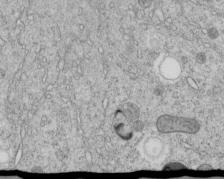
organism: C. elegans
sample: C. elegans embryo early stage